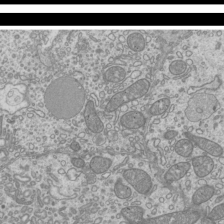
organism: Mouse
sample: Cilia; mouse epididymis